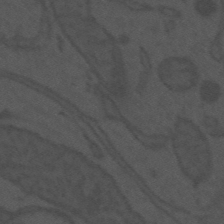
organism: Mouse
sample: Suprachiasmatic nucleus